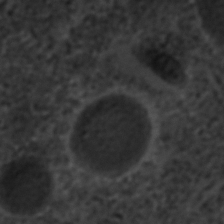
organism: C. elegans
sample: C. elegans embryo